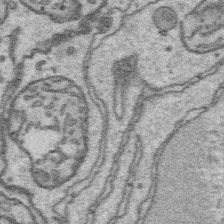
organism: Platynereis dumerilii